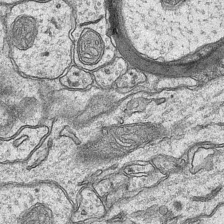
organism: Mouse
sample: CA1 Hippocampus